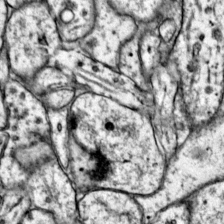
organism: Mouse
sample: Primary visual cortex